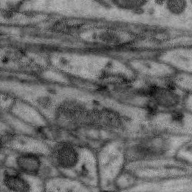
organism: Zebra finch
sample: Brain